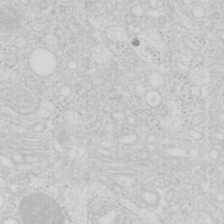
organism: Mouse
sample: Pancreas